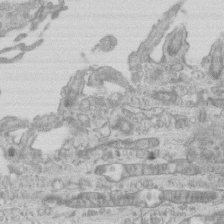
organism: Mouse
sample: Centriole in ependymal cells